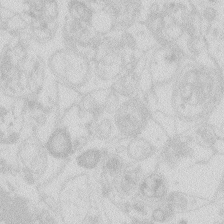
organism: Zebrafish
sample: Macrophage